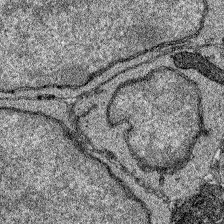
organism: Zebrafish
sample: Larval olfactory bulb